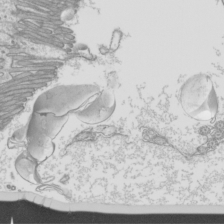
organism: Mouse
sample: Cilia; mouse epididymis